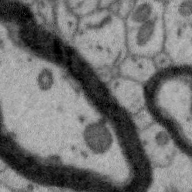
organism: Zebra finch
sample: Brain